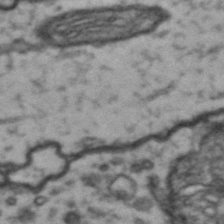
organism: Drosophila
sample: Brain